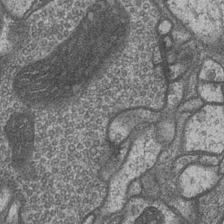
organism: Drosophila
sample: Optic medulla